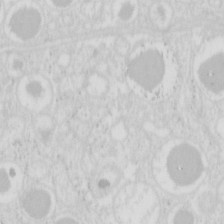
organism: Mouse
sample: Pancreas